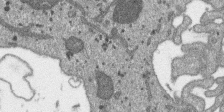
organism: Human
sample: Lung epithelial cells infected with SARS-CoV-2